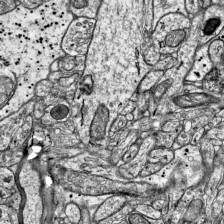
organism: Mouse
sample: Visual Cortex